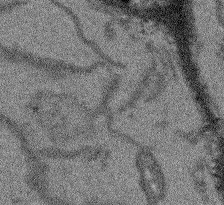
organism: Arabidopsis thaliana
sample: Root tip